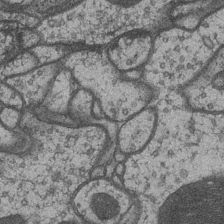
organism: Drosophila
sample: Optic medulla